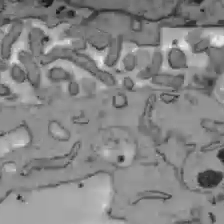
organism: C57BL Mouse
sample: Liver